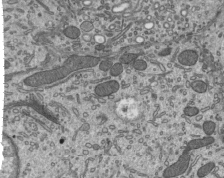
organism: Mouse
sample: Mouse epididymis efferent ductule cilia